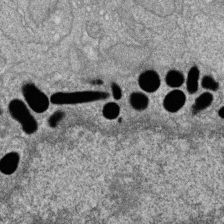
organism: Zebrafish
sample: Cilia; retinal pigment epithelium